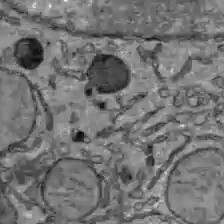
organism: C57BL Mouse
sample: Liver